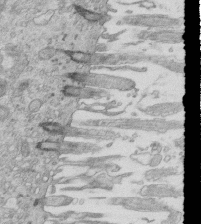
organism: Mouse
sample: Multiciliated cells